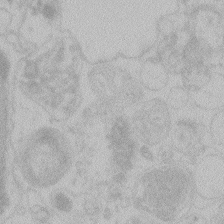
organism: Zebrafish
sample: Macrophage infected with Toxoplasma gondii